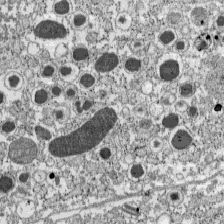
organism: C57BL Mouse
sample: Pancreatic islet